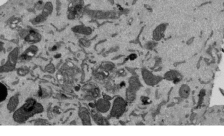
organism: Mouse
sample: ED-1 cell nuclei; centrioles